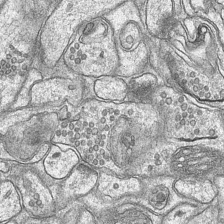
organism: Mouse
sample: CA1 Hippocampus